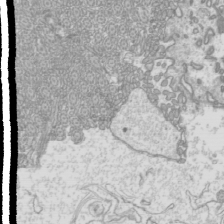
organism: Mouse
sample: Cilia; mouse epididymis